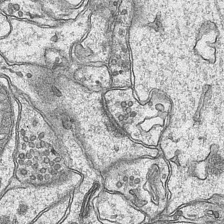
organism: Mouse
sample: CA1 Hippocampus